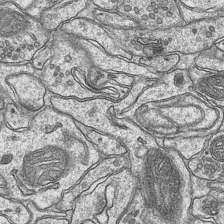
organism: Mouse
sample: CA1 Hippocampus